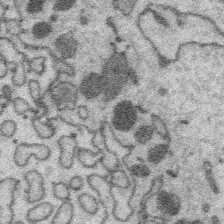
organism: Platynereis dumerilii